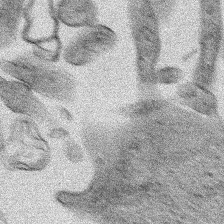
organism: Human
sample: Mitochondria in HCT116 cells